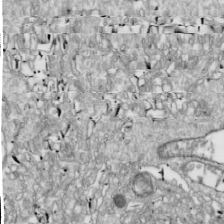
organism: Drosophila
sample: Cell division; meiosis; drosophila spermatocytes